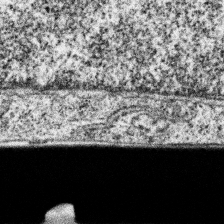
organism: Human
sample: HeLa cells